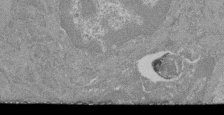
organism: Mouse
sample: Glomerulus